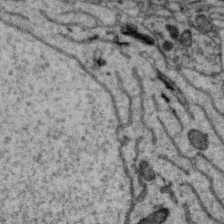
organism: Zebra finch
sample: Brain